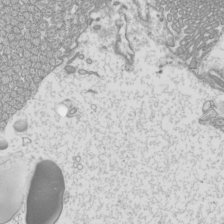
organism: Mouse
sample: Cilia; mouse epididymis